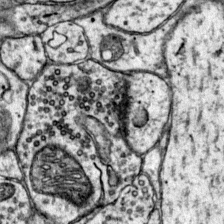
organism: Mouse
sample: Primary visual cortex